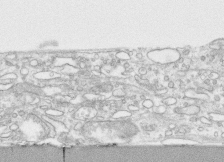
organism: Human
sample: CRL-1474